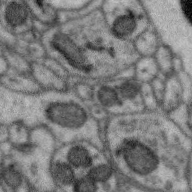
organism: Zebra finch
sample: Brain